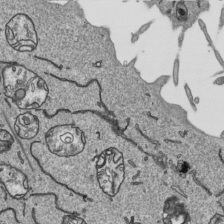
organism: Human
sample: Mitochondria in HCT116 cells